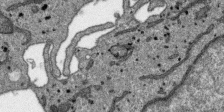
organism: Human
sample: Lung epithelial cells, uninfected (mock) control